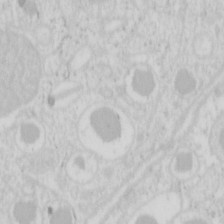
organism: Mouse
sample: Pancreas